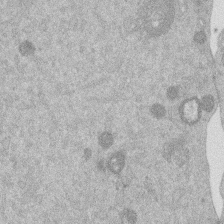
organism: Mouse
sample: Dividing mouse embryo 1 cell stage